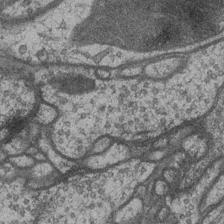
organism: Drosophila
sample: Optic medulla